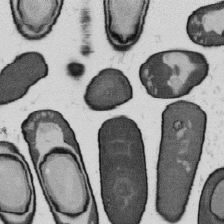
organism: B. subtilis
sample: Bacterial spore